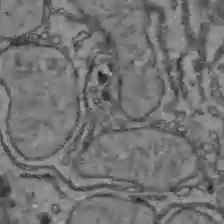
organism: C57BL Mouse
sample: Liver